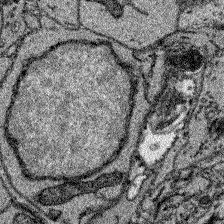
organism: Zebrafish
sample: Larval olfactory bulb